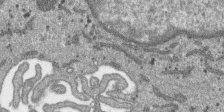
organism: Human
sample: Lung epithelial cells infected with SARS-CoV-2